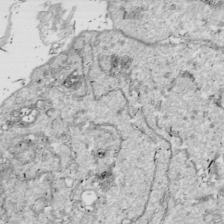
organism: Drosophila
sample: Cell division; meiosis; drosophila spermatocytes